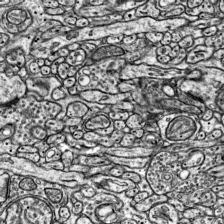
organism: Mouse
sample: Visual Cortex